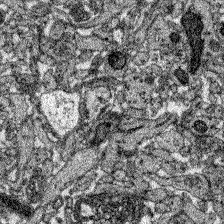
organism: Zebrafish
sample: Larval olfactory bulb